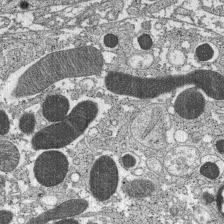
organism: C57BL Mouse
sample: Pancreatic islet